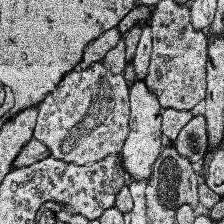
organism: Human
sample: Temporal Lobe